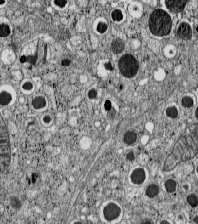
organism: C57BL Mouse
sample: Pancreatic islet